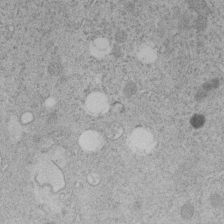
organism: C. elegans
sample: C. elegans embryo early stage